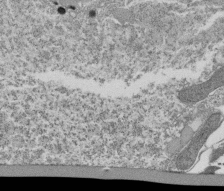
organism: Tetrahymena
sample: Cilia in tetrahymena